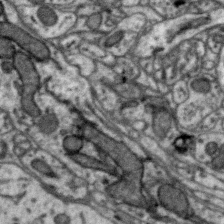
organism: Zebra finch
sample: Brain